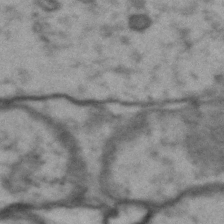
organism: Drosophila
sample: Brain